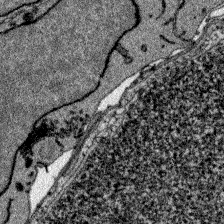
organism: Zebrafish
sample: Larval olfactory bulb